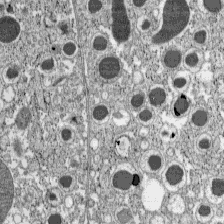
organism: C57BL Mouse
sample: Pancreatic islet